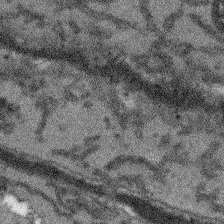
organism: Arabidopsis thaliana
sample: Root tip